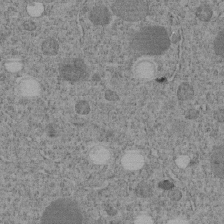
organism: C. elegans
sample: C. elegans embryo early stage